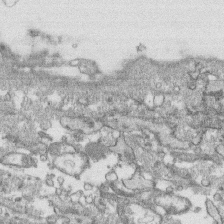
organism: Human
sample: CRL-1474